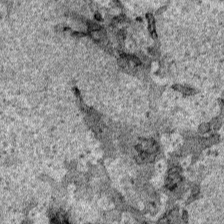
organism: Human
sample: Mitochondria in HCT116 cells